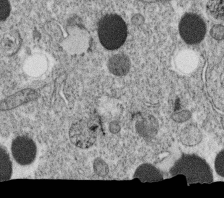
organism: C. elegans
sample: C. elegans oocyte; sperm cells